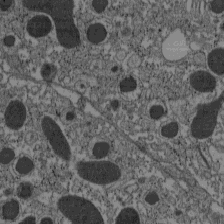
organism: C57BL Mouse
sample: Pancreatic islet